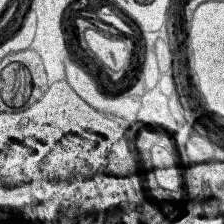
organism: Human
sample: Temporal Lobe